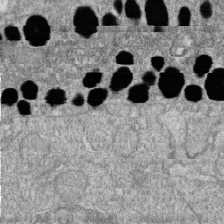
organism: Zebrafish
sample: Cilia; retinal pigment epithelium